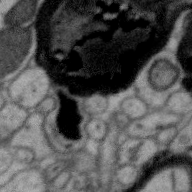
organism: Zebra finch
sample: Brain